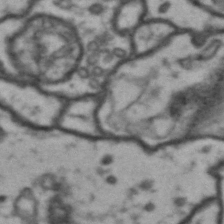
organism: Drosophila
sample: Brain